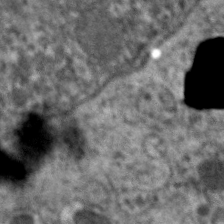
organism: C. elegans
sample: Pharynx